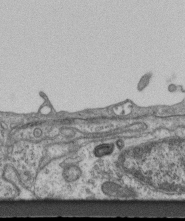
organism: Mouse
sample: Centriole in ependymal cells